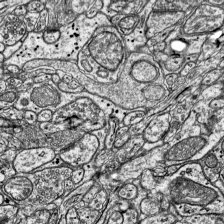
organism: Mouse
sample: Visual Cortex